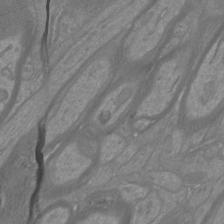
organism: Mouse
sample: Cortical neurons